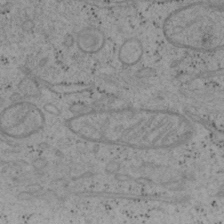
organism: Human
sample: HeLa cells